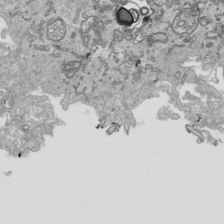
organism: Human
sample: Mitochondria in HCT116 cells